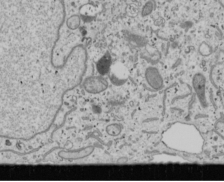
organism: Human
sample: Mitochondria in U2OS cells